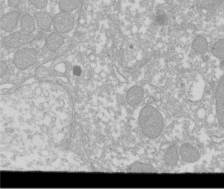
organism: Xenopus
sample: Cilia; centrioles in frog embryo cells